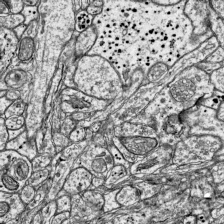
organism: Mouse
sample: Visual Cortex